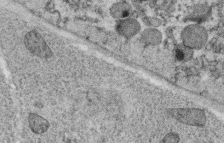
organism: C. elegans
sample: C. elegans oocyte; sperm cells